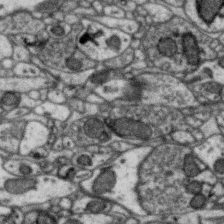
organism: Zebra finch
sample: Brain